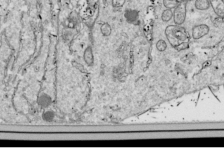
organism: Drosophila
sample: Cell division; meiosis; drosophila spermatocytes